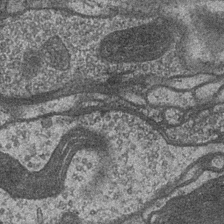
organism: Drosophila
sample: Optic medulla